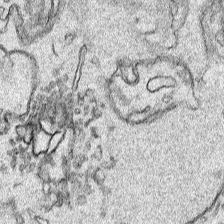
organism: Human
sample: Mitochondria in HCT116 cells